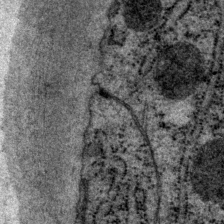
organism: P. pacificus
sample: Pharynx